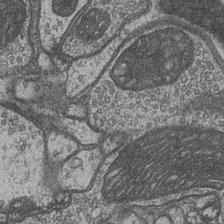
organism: Drosophila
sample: Optic medulla